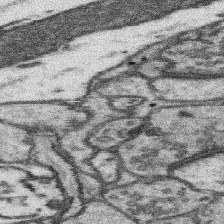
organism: Mouse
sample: Somatosensory cortex neuropil